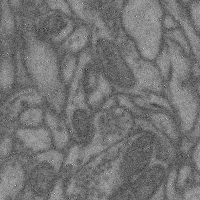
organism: Mouse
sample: Cerebral cortex